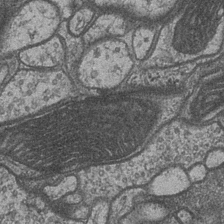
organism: Drosophila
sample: Optic medulla